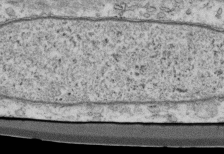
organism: Mouse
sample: Cilia; retinal pigment epithelium